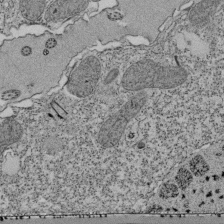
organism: Tetrahymena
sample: Cilia in tetrahymena